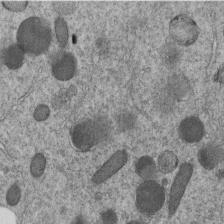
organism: C. elegans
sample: C. elegans embryo early stage